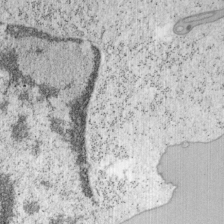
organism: Mouse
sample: OT-I killer T cells with ID8 ovarian cancer cells